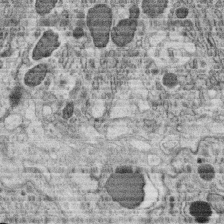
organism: C. elegans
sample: C. elegans oocyte; sperm cells